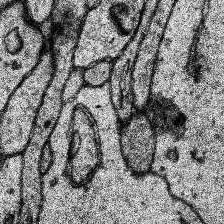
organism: Human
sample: Temporal Lobe